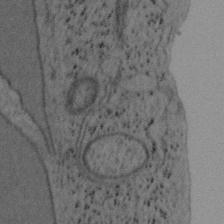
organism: Human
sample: HeLa cells